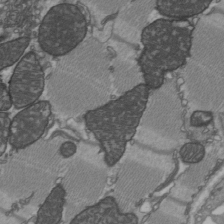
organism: C57BL Mouse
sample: Heart